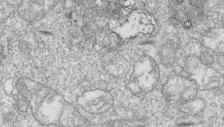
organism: Human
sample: HeLa cell HIV synapse